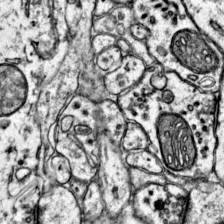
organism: Mouse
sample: Primary visual cortex